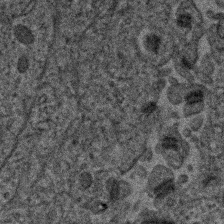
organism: Human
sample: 1205lu cells